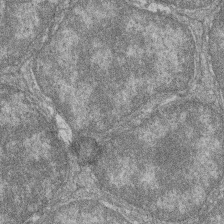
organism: Zebrafish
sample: Cilia; retinal pigment epithelium